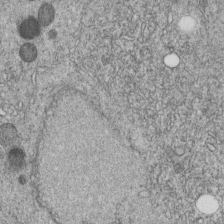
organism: C. elegans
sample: C. elegans embryo early stage